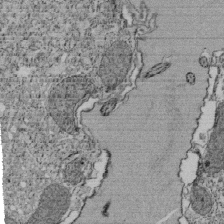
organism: Tetrahymena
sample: Cilia in tetrahymena